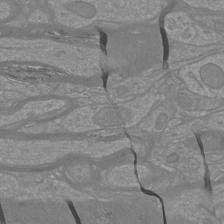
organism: Mouse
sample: Cortical neurons